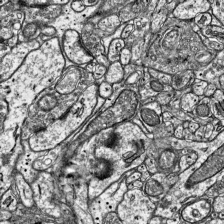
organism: Mouse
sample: Visual Cortex